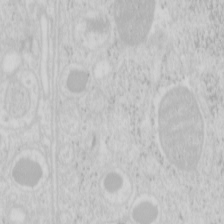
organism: Mouse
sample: Pancreas